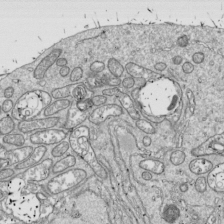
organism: Drosophila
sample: Cell division; meiosis; drosophila spermatocytes